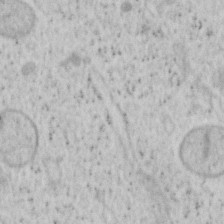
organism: Human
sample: HeLa cells